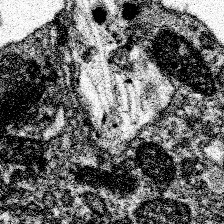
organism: Spongilla lacustris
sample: Neuroid cell